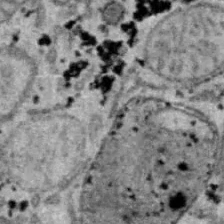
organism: Mouse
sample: Liver from an obese (ob/ob) mouse